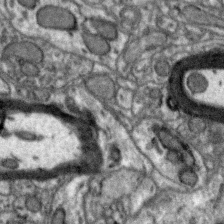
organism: Zebra finch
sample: Brain